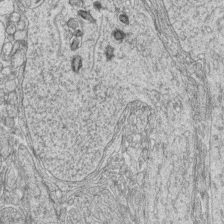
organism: Zebrafish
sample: synaptic ribbons in rod cells and cone cells